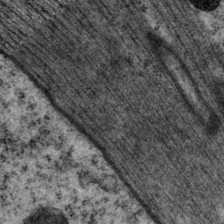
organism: P. pacificus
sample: Pharynx